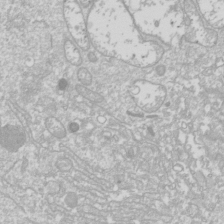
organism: Drosophila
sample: Cell division; meiosis; drosophila spermatocytes